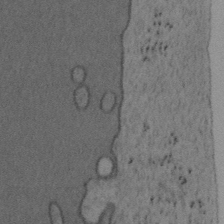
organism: Human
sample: HeLa cells